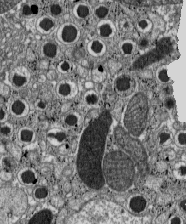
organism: C57BL Mouse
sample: Pancreatic islet